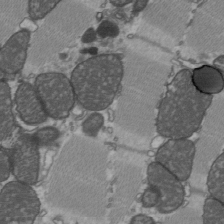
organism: C57BL Mouse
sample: Heart